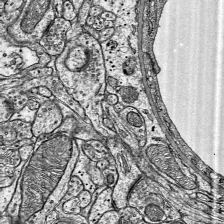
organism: Mouse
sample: Visual Cortex